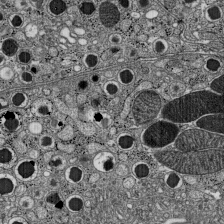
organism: C57BL Mouse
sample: Pancreatic islet